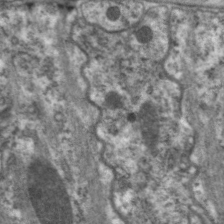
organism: C. elegans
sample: Pharynx